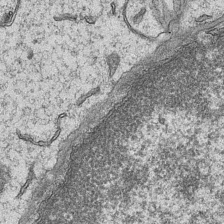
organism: Mouse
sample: CA1 Hippocampus